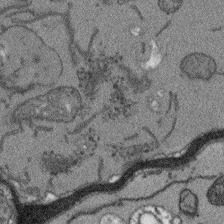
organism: Arabidopsis thaliana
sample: Root tip